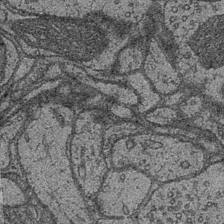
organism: Drosophila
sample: Optic medulla